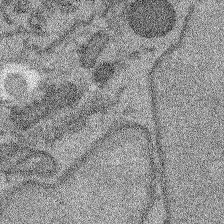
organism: Human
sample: HeLa cells